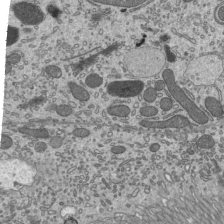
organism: Mouse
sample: Mouse epididymis efferent ductule cilia